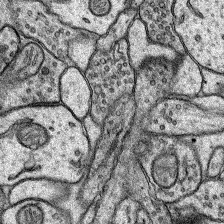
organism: Rat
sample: Hippocampus